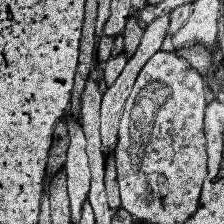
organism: Human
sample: Temporal Lobe